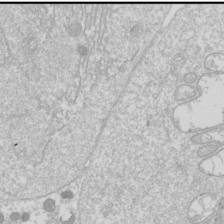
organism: Drosophila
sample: Cell division; meiosis; drosophila spermatocytes